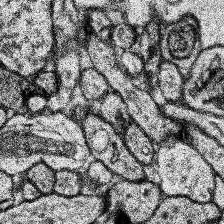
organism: Human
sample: Temporal Lobe